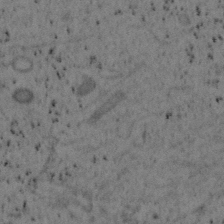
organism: Human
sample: HeLa cells